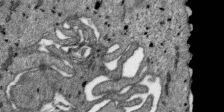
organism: Human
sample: Lung epithelial cells, uninfected (mock) control